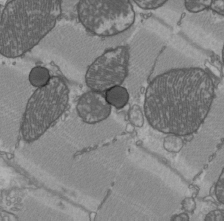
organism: C57BL Mouse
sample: Heart